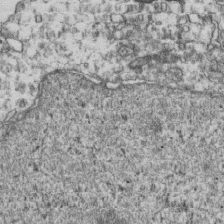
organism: Human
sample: Activated Jurkat CD4+ T cells